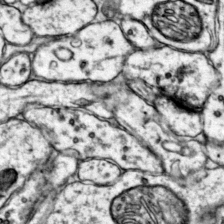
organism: Mouse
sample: Primary visual cortex